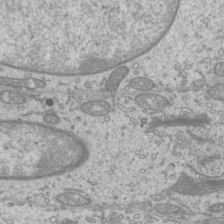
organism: Mouse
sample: Cilia; mouse epididymis